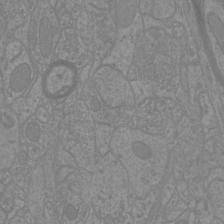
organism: Mouse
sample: Cortical neurons